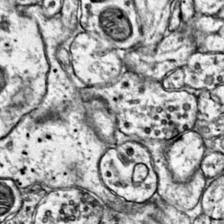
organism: Mouse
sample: Primary visual cortex